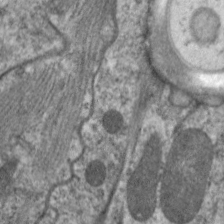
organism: C. elegans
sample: Pharynx